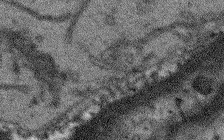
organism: Arabidopsis thaliana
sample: Root tip